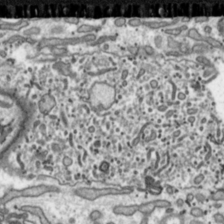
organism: Toxoplasma gondii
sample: Parasites in a vacuole inside a host cell